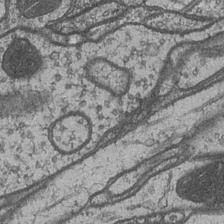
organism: Drosophila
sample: Optic medulla